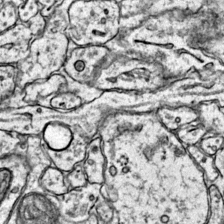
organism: Mouse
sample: Primary visual cortex